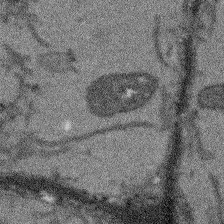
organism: Arabidopsis thaliana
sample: Root tip